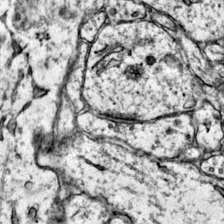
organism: Mouse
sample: Primary visual cortex